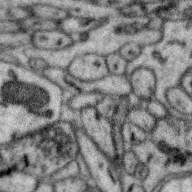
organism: Zebra finch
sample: Brain